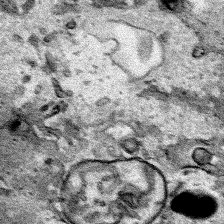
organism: Human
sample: Mitochondria in HCT116 cells